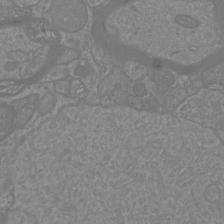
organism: Mouse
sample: Cortical neurons